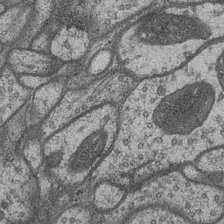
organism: Drosophila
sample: Optic medulla